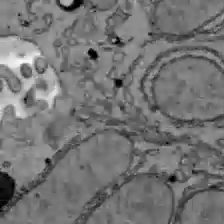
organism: C57BL Mouse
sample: Liver